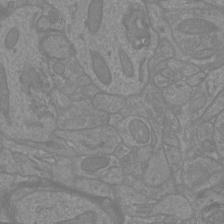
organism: Mouse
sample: Cortical neurons